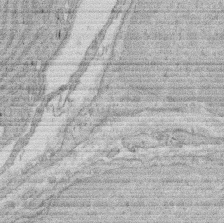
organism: Rat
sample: Salivary granule